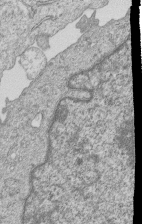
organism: Human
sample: MDA-MB-231 cells